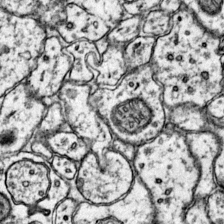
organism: Mouse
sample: Primary visual cortex